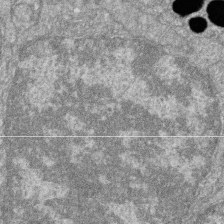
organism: Zebrafish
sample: Cilia; retinal pigment epithelium